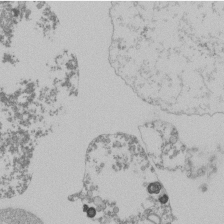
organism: Mouse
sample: Activated Pmel transgenic CD8+ T Cells